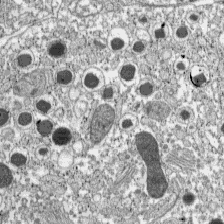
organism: C57BL Mouse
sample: Pancreatic islet